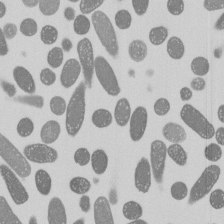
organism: E. coli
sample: Bacterial nucleoid